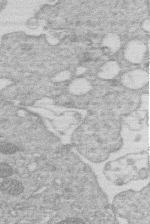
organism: Human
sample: Macrophage cells